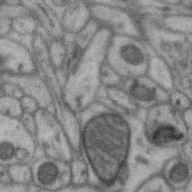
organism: Zebra finch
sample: Brain